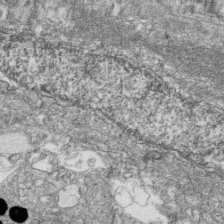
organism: Zebrafish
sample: Cilia; retinal pigment epithelium